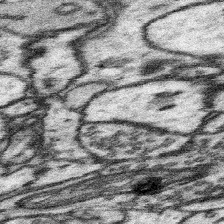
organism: Mouse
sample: Somatosensory cortex neuropil